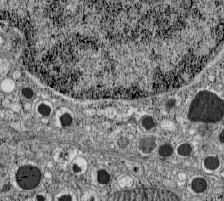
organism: C57BL Mouse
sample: Pancreatic islet